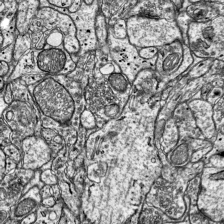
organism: Mouse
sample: Visual Cortex